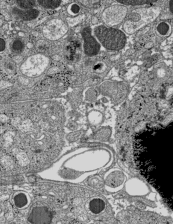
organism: C57BL Mouse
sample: Pancreatic islet